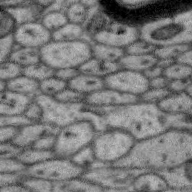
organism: Zebra finch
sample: Brain